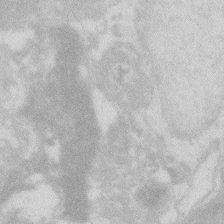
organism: Zebrafish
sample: Macrophage